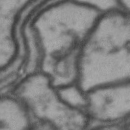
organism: Drosophila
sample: Brain